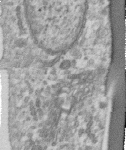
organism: Human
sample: Centriole in RPE cells